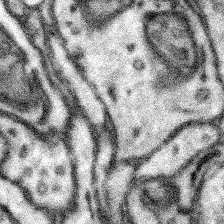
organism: Mouse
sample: Somatosensory cortex neuropil